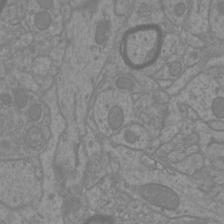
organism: Mouse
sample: Cortical neurons